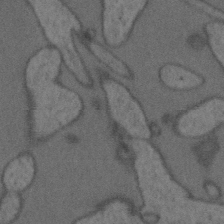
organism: Human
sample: HeLa cells